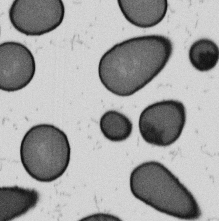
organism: B. subtilis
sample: Bacterial spore